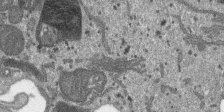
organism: Human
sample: Lung epithelial cells infected with SARS-CoV-2